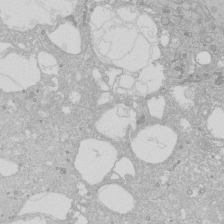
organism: Human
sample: Caco-2 cells